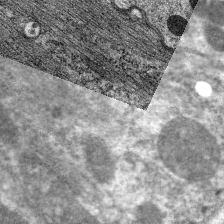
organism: C. elegans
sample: Pharynx